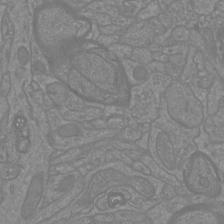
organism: Mouse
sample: Cortical neurons